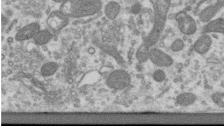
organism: Human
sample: Centriole in RPE cells